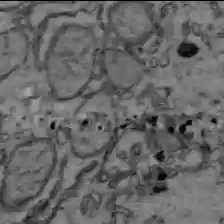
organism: C57BL Mouse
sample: Liver